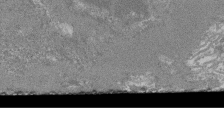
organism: Mouse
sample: Glomerulus